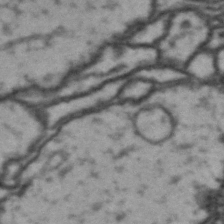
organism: Drosophila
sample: Brain